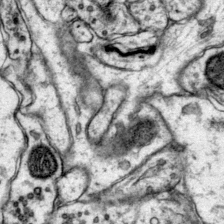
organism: Mouse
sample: Primary visual cortex